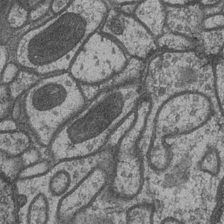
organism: Drosophila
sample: Optic medulla